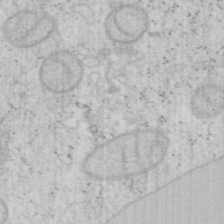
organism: Human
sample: HeLa cells